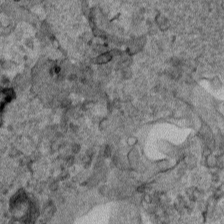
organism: Human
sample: Mitochondria in HCT116 cells